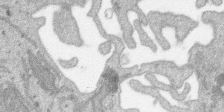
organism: Human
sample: Lung epithelial cells infected with SARS-CoV-2